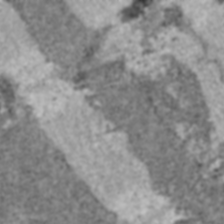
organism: C57BL Mouse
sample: Heart